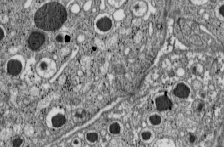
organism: C57BL Mouse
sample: Pancreatic islet